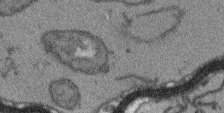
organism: Arabidopsis thaliana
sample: Root tip